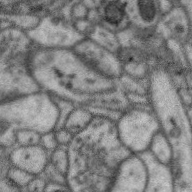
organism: Zebra finch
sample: Brain